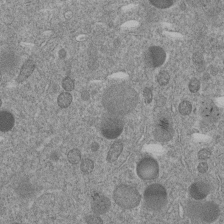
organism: C. elegans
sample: C. elegans embryo early stage